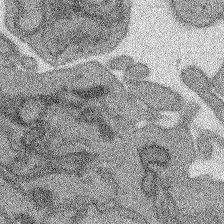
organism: Human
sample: HeLa cells